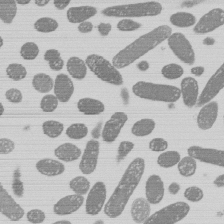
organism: E. coli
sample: Bacterial nucleoid